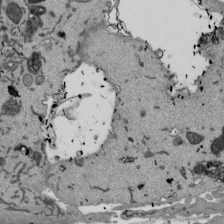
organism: Mouse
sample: ED-1 cell nuclei; centrioles